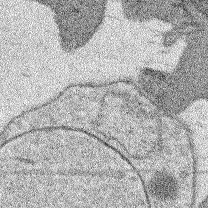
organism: Human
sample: HeLa cells